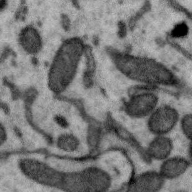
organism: Zebra finch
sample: Brain